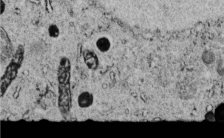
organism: C. elegans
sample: C. elegans embryo early stage